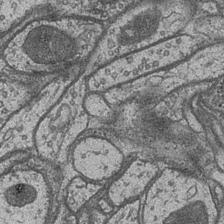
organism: Drosophila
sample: Optic medulla